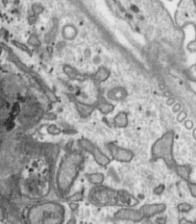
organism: Toxoplasma gondii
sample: Parasites in a vacuole inside a host cell